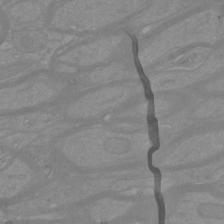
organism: Mouse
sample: Cortical neurons